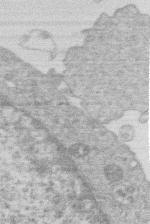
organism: Human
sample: Macrophage cells